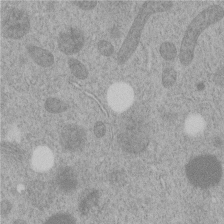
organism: C. elegans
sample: C. elegans embryo early stage